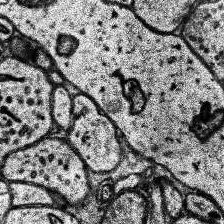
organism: Human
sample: Temporal Lobe